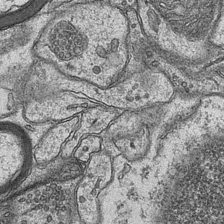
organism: Mouse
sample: CA1 Hippocampus